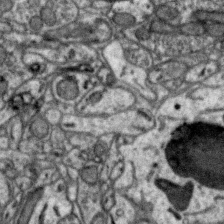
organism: Zebra finch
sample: Brain